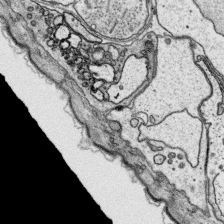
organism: Platynereis dumerilii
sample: Parapodia